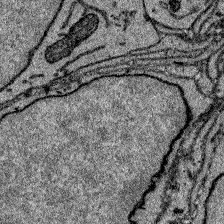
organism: Zebrafish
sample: Larval olfactory bulb